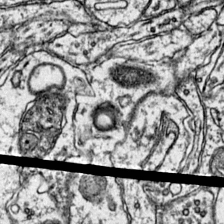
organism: Mouse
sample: Primary visual cortex